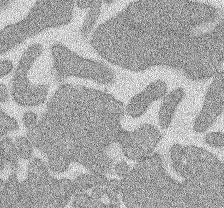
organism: Human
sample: HeLa cells